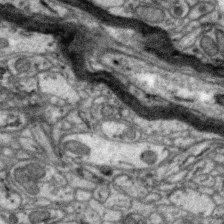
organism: Zebra finch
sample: Brain